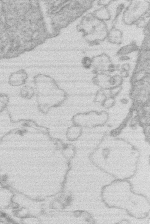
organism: Human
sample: Macrophage cells